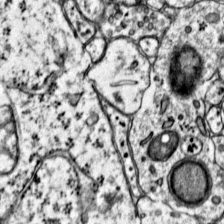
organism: Mouse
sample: Primary visual cortex